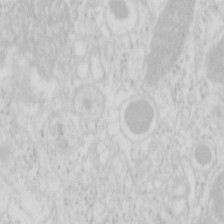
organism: Mouse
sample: Pancreas